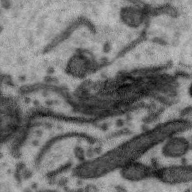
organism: Zebra finch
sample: Brain